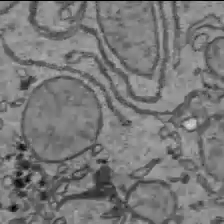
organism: C57BL Mouse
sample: Liver